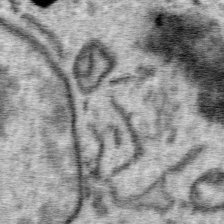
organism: Human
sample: HeLa cells